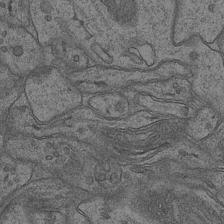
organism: Mouse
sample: CA1 Hippocampus